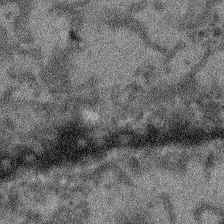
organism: Arabidopsis thaliana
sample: Root tip